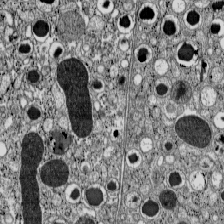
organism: C57BL Mouse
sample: Pancreatic islet